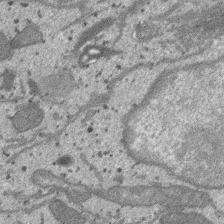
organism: Human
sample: Lung epithelial cells infected with SARS-CoV-2